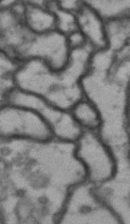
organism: Drosophila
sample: Brain